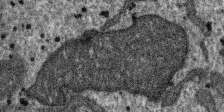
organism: Human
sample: Lung epithelial cells infected with SARS-CoV-2